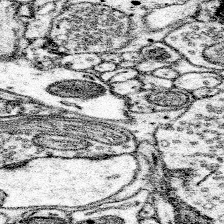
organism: Mouse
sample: Somatosensory cortex neuropil